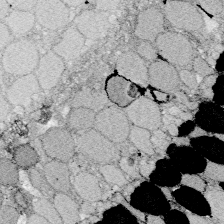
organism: Zebrafish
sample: Whole-Brain